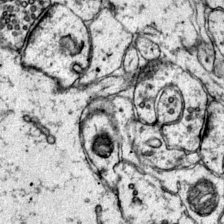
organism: Mouse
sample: Primary visual cortex